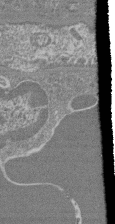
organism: Mouse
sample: Glomerulus